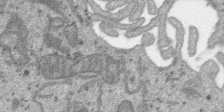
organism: Human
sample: Lung epithelial cells infected with SARS-CoV-2